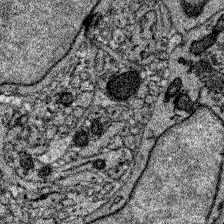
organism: Zebrafish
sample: Larval olfactory bulb